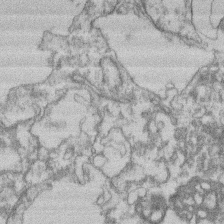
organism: Mouse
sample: T cell stromal cell synapse